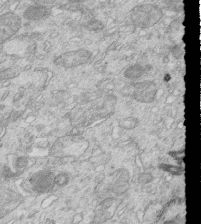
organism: Mouse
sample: Multiciliated cells